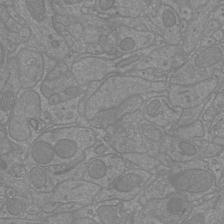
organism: Mouse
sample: Cortical neurons